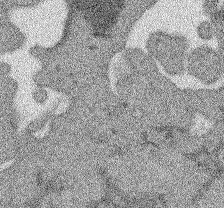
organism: Human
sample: HeLa cells